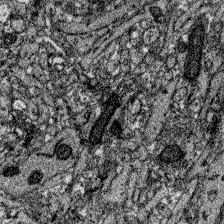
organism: Zebrafish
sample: Larval olfactory bulb